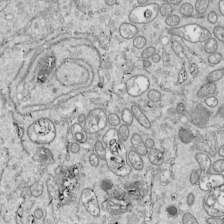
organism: Drosophila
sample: Cell division; meiosis; drosophila spermatocytes